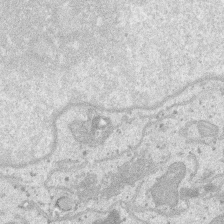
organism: Human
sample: Lung epithelial cells infected with SARS-CoV-2